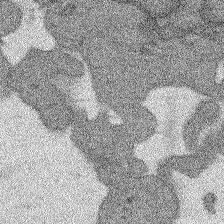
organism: Human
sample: HeLa cells